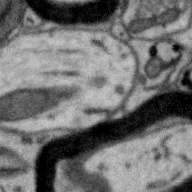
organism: Zebra finch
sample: Brain